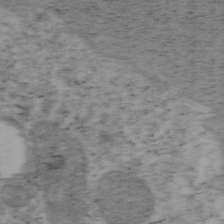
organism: Mouse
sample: OT-I killer T cells with ID8 ovarian cancer cells